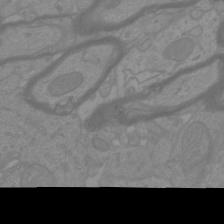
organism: Mouse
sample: Cortical neurons